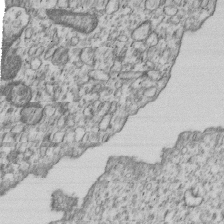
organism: Human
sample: MDA-MB-231 cells